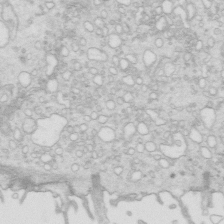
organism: Mouse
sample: Multiciliated cells